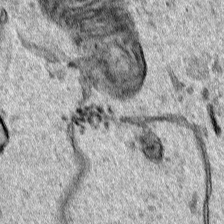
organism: Human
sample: Mitochondria in HCT116 cells